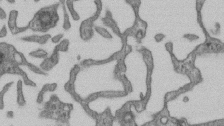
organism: Mouse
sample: Centriole in ependymal cells